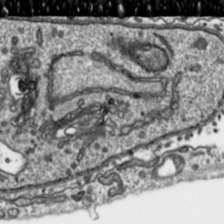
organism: Toxoplasma gondii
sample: Parasites in a vacuole inside a host cell